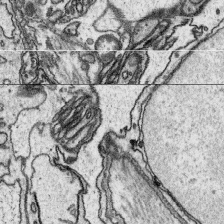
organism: Platynereis dumerilii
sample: Parapodia